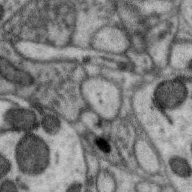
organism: Zebra finch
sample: Brain